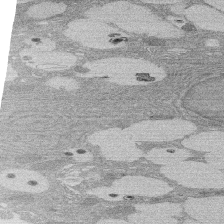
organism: Rat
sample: Salivary granule